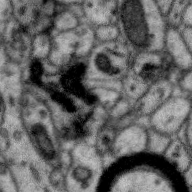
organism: Zebra finch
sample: Brain